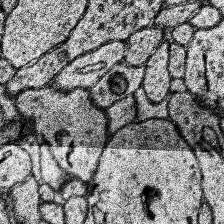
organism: Human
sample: Temporal Lobe